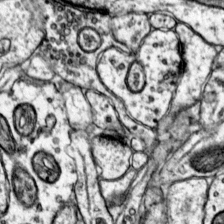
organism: Mouse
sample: Primary visual cortex